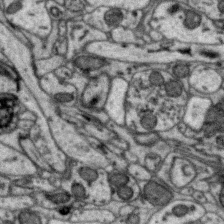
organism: Zebra finch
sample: Brain